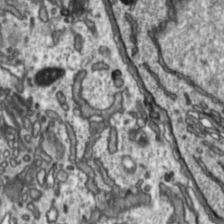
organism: Toxoplasma gondii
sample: Parasites in a vacuole inside a host cell